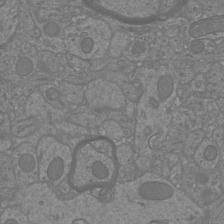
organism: Mouse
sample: Cortical neurons